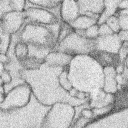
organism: Rabbit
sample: Retina